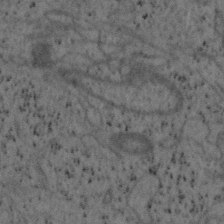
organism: Human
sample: HeLa cells